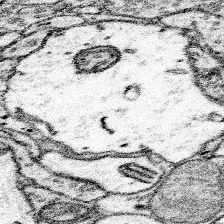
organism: Mouse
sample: Somatosensory cortex neuropil